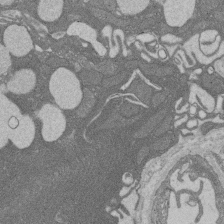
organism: Rat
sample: Salivary granule